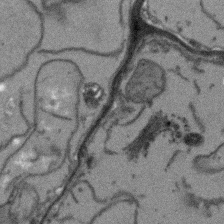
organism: Arabidopsis thaliana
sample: Root tip